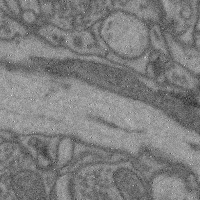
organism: Mouse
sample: Cerebral cortex